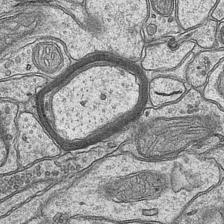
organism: Mouse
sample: CA1 Hippocampus